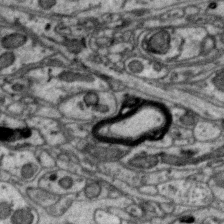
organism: Zebra finch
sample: Brain